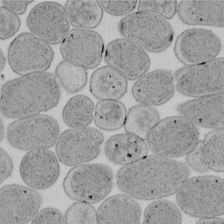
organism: E. coli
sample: Bacterial nucleoid